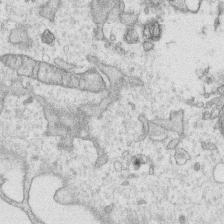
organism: Human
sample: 1205lu cells